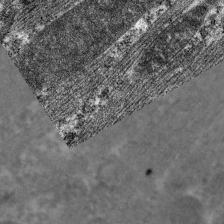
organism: C. elegans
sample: Pharynx